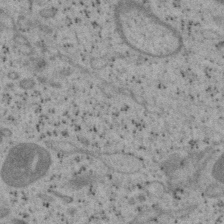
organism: Human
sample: HeLa cells